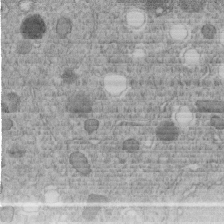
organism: C. elegans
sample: C. elegans embryo early stage